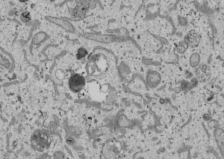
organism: Human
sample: Mitochondria in U2OS cells